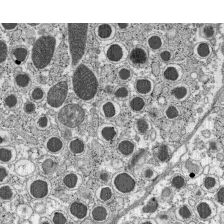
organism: C57BL Mouse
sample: Pancreatic islet